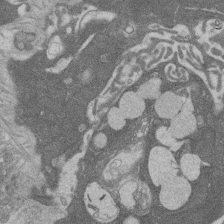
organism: Rat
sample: Salivary granule